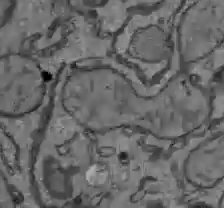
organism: C57BL Mouse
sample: Liver